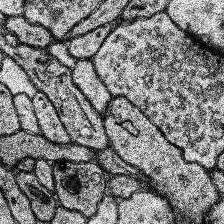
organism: Human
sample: Temporal Lobe